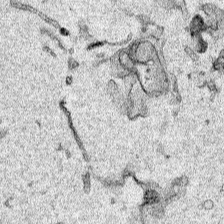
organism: Human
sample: Mitochondria in HCT116 cells